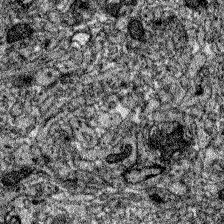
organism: Zebrafish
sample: Larval olfactory bulb